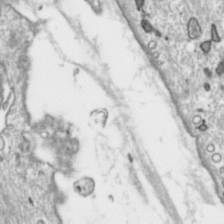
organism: Toxoplasma gondii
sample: Parasites in a vacuole inside a host cell